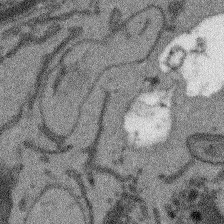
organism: Arabidopsis thaliana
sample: Root tip